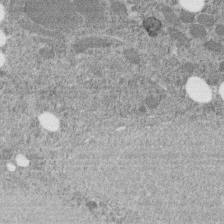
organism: C. elegans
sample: C. elegans embryo early stage